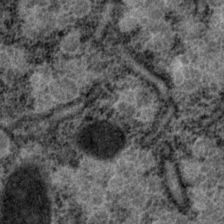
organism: P. pacificus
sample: Pharynx